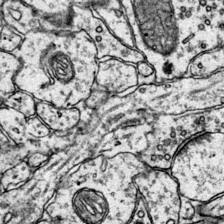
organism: Mouse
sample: Primary visual cortex